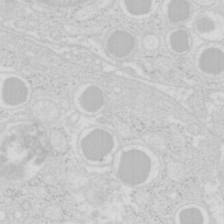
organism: Mouse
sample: Pancreas